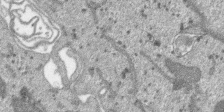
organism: Human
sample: Lung epithelial cells infected with SARS-CoV-2